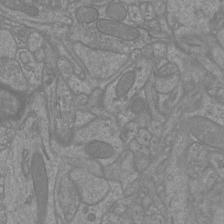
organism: Mouse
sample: Cortical neurons